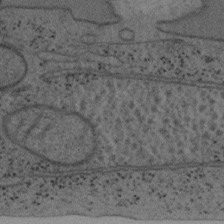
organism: Human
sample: HeLa cells